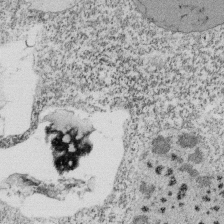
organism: Tetrahymena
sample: Cilia in tetrahymena